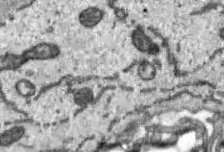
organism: Human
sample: HeLa cells